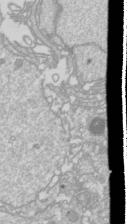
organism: Drosophila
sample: Cell division; meiosis; drosophila spermatocytes